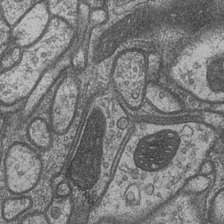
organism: Drosophila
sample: Optic medulla